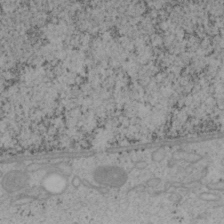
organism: Human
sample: HeLa cells